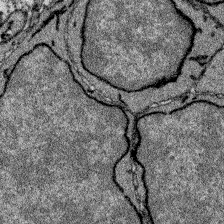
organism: Zebrafish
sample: Larval olfactory bulb